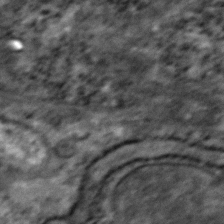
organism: Zebrafish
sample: Zebrafish embryo